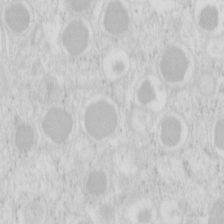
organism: Mouse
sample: Pancreas